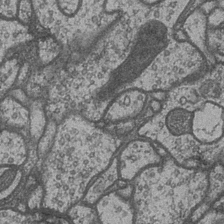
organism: Drosophila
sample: Optic medulla